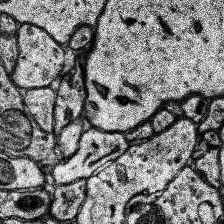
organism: Human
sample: Temporal Lobe